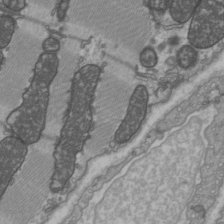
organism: C57BL Mouse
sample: Heart